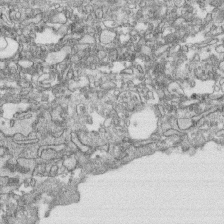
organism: Human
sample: CRL-1474